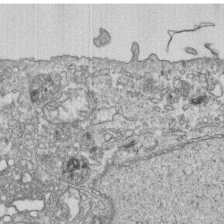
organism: Human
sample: HeLa cell HIV synapse